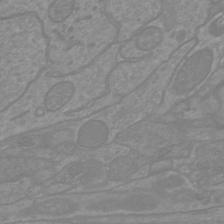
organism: Mouse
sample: Cortical neurons